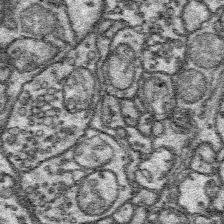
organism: Platynereis dumerilii